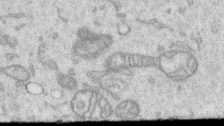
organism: Human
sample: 1205lu cells